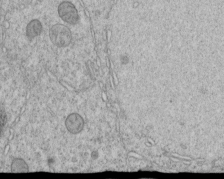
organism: C. elegans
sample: C. elegans embryo early stage